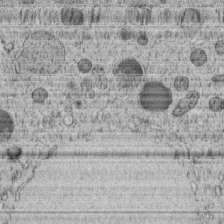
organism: C. elegans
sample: C. elegans embryo early stage